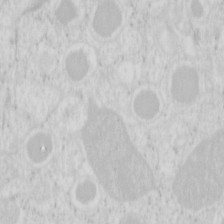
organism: Mouse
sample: Pancreas